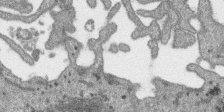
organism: Human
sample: Lung epithelial cells infected with SARS-CoV-2